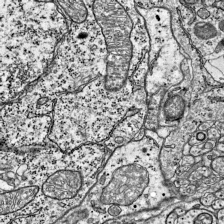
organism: Mouse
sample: Visual Cortex